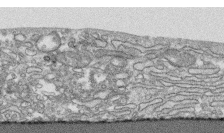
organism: Human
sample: CRL-1474